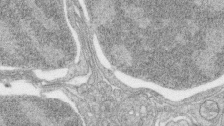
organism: Zebrafish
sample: synaptic ribbons in rod cells and cone cells